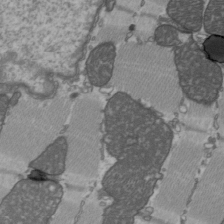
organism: C57BL Mouse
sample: Heart